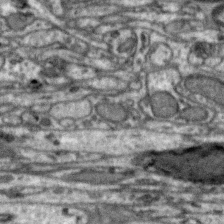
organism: Zebra finch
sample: Brain